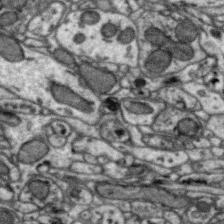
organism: Zebra finch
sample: Brain